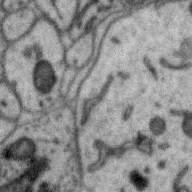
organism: Zebra finch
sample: Brain